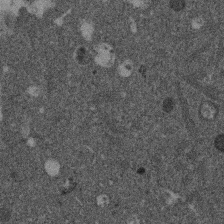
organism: Mouse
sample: Dividing mouse embryo 1 cell stage